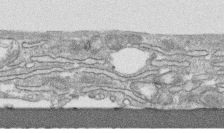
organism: Human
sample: CRL-1474